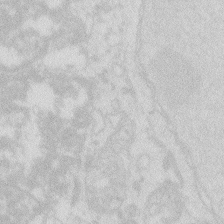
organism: Zebrafish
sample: Macrophage